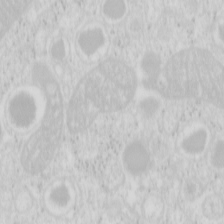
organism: Mouse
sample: Pancreas